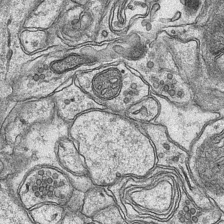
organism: Mouse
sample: CA1 Hippocampus